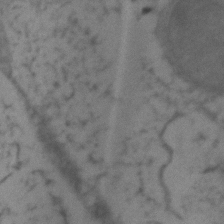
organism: Zebrafish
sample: Zebrafish embryo